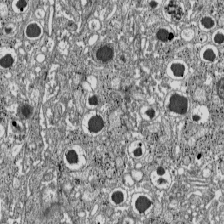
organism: C57BL Mouse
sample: Pancreatic islet